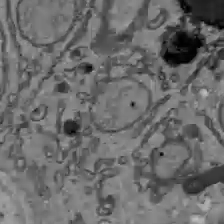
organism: C57BL Mouse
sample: Liver